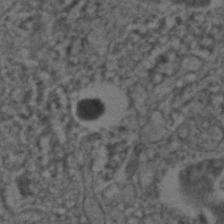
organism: C. elegans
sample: C. elegans embryo